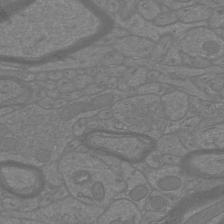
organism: Mouse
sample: Cortical neurons